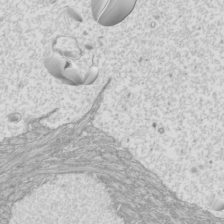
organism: Mouse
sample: Cilia; mouse epididymis